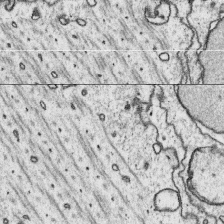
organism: Platynereis dumerilii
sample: Parapodia